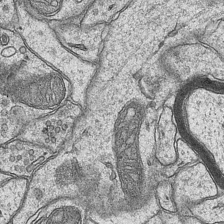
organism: Mouse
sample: CA1 Hippocampus